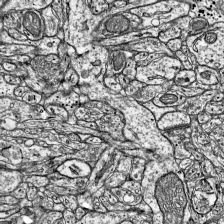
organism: Mouse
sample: Visual Cortex